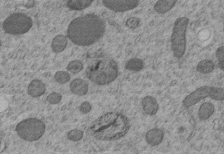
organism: C. elegans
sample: C. elegans embryo early stage